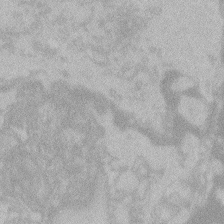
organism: Zebrafish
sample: Macrophage infected with Toxoplasma gondii